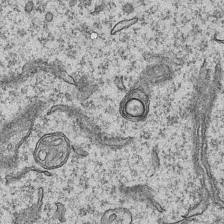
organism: Mouse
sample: CA1 Hippocampus